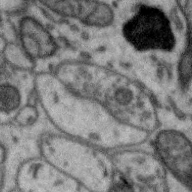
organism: Zebra finch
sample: Brain